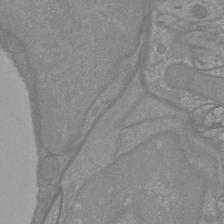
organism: Mouse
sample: Cortical neurons